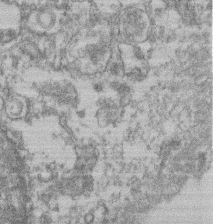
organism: Mouse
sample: T cell stromal cell synapse